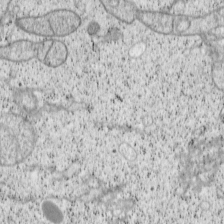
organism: African green monkey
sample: COS-7 cells